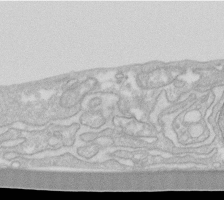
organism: Human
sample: Fibroblast cells